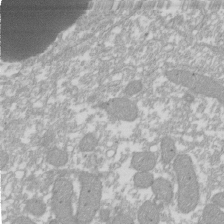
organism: Xenopus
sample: Cilia; centrioles in frog embryo cells